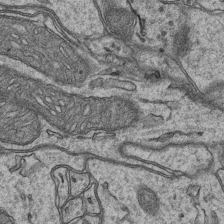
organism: Mouse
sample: CA1 Hippocampus